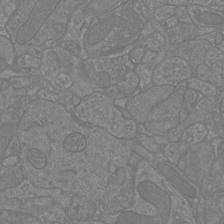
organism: Mouse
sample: Cortical neurons